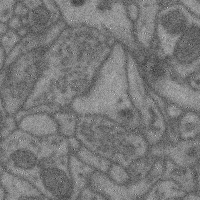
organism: Mouse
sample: Cerebral cortex